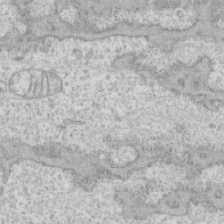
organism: Human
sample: CRL-1474